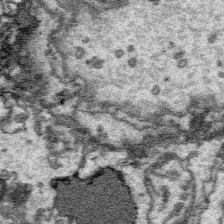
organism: Platynereis dumerilii